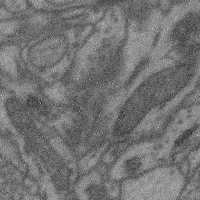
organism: Mouse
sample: Cerebral cortex